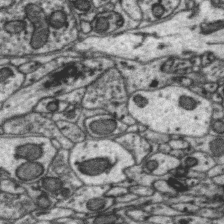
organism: Zebra finch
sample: Brain